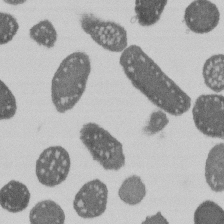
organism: E. coli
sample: Bacterial nucleoid